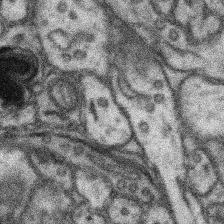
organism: Mouse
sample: Somatosensory cortex neuropil